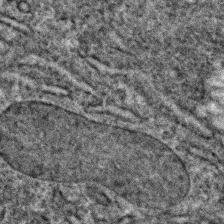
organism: C. elegans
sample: C. elegans embryo